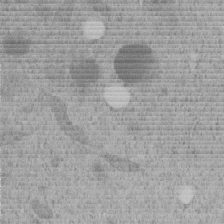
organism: C. elegans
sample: C. elegans embryo early stage